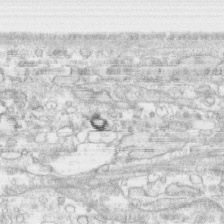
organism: Human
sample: CRL-1474